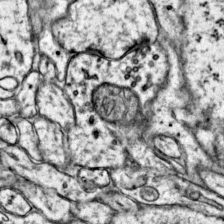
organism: Mouse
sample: Primary visual cortex